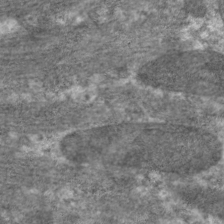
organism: C. elegans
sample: Pharynx